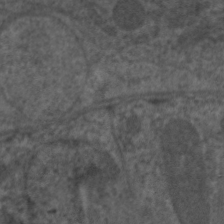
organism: C. elegans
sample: Pharynx